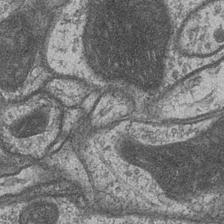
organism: Drosophila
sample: Optic medulla